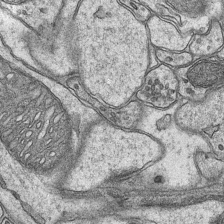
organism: Mouse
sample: CA1 Hippocampus